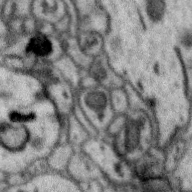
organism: Zebra finch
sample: Brain